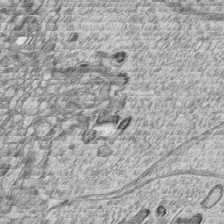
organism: Zebrafish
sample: synaptic ribbons in rod cells and cone cells